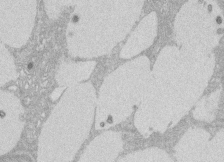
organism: Rat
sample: Salivary granule